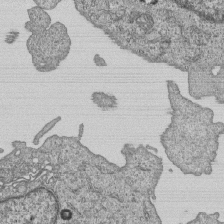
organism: Human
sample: MDA-MB-231 cells